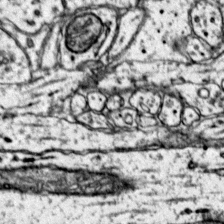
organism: Mouse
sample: Primary visual cortex